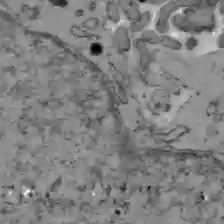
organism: C57BL Mouse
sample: Liver